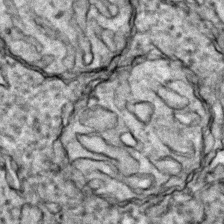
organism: Zebrafish